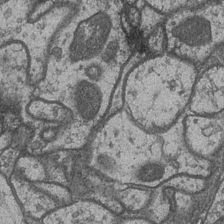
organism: Drosophila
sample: Optic medulla